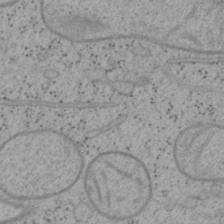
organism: Human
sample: HeLa cells